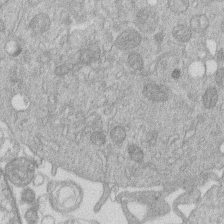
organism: Human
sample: Macrophage cells